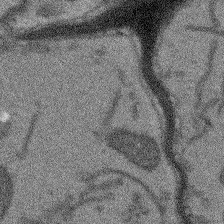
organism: Arabidopsis thaliana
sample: Root tip